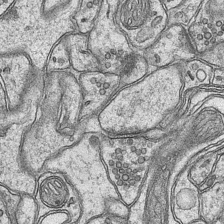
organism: Mouse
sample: CA1 Hippocampus